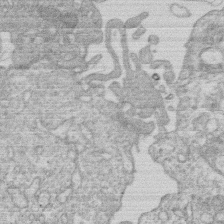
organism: Human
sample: Macrophage cells